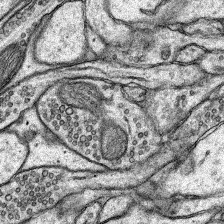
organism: Rat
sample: Hippocampus